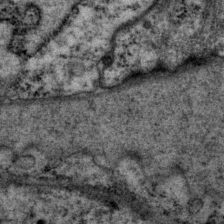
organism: P. pacificus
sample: Pharynx